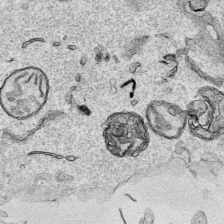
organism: Human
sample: Mitochondria in HCT116 cells